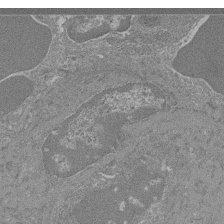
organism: Mouse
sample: Glomerulus